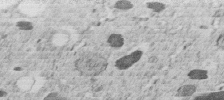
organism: C. elegans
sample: C. elegans embryo early stage